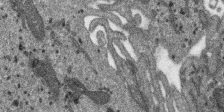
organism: Human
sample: Lung epithelial cells infected with SARS-CoV-2